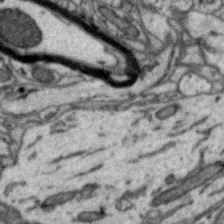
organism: Zebra finch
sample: Brain